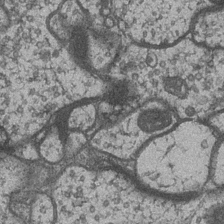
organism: Drosophila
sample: Optic medulla